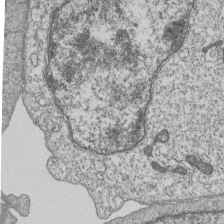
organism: Human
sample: MDA-MB-231 cells